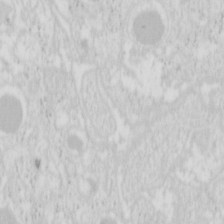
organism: Mouse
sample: Pancreas